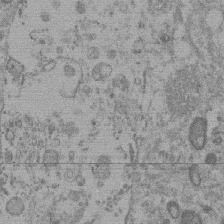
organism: Mouse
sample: Dividing mouse embryo 1 cell stage